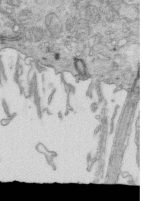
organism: Mouse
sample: Multiciliated cells